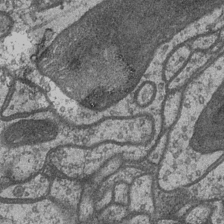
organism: Drosophila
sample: Optic medulla